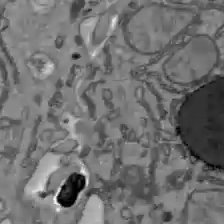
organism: C57BL Mouse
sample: Liver